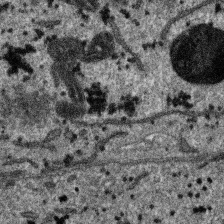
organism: Human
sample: Lung epithelial cells infected with SARS-CoV-2